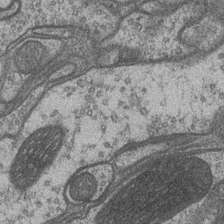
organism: Drosophila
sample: Optic medulla